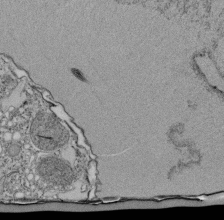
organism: Tetrahymena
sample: Cilia in tetrahymena